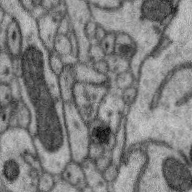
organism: Zebra finch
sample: Brain